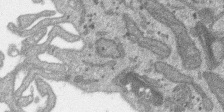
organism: Human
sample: Lung epithelial cells infected with SARS-CoV-2